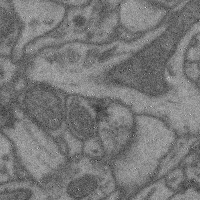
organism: Mouse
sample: Cerebral cortex